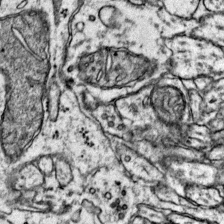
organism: Mouse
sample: Primary visual cortex